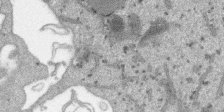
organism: Human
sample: Lung epithelial cells infected with SARS-CoV-2